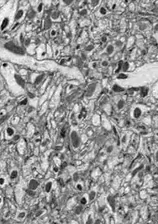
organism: Drosophila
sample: Optic lobe